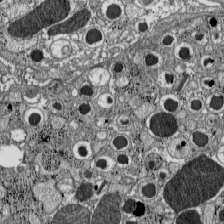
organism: C57BL Mouse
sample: Pancreatic islet